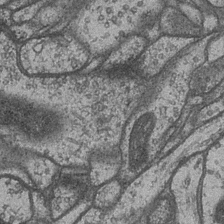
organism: Drosophila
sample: Optic medulla